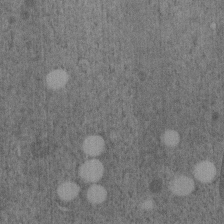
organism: C. elegans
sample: C. elegans embryo early stage